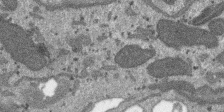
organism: Human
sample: Lung epithelial cells infected with SARS-CoV-2